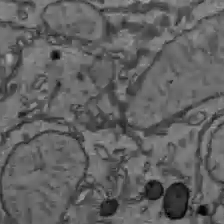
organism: C57BL Mouse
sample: Liver